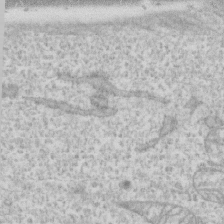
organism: Human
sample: CRL-1474